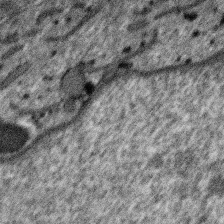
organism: Human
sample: Lung epithelial cells infected with SARS-CoV-2